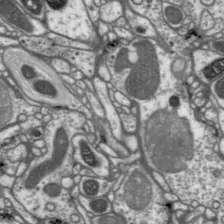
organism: Drosophila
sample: Protocerebral bridge